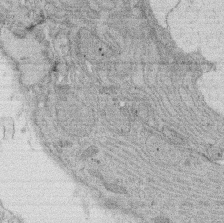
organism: Rat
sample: Salivary granule